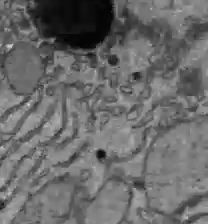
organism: C57BL Mouse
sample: Liver